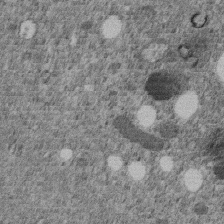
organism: C. elegans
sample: C. elegans embryo early stage